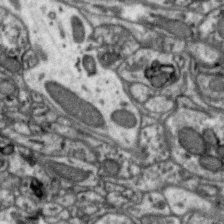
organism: Zebra finch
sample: Brain